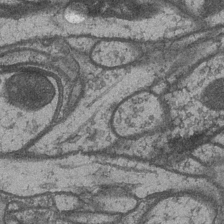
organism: Drosophila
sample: Optic medulla